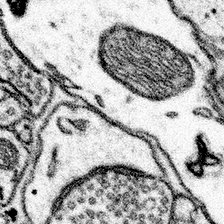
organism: Mouse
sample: Somatosensory cortex neuropil